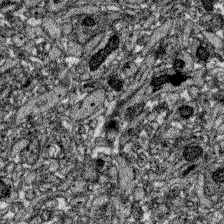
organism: Zebrafish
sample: Larval olfactory bulb